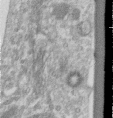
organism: Human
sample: Centriole in RPE cells